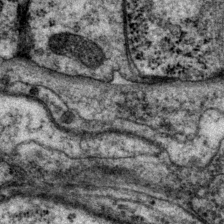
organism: P. pacificus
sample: Pharynx